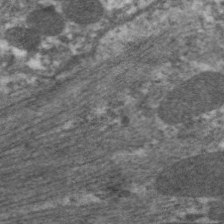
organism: C. elegans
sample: Pharynx